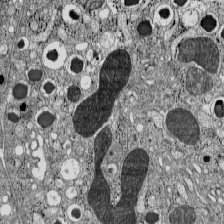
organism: C57BL Mouse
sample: Pancreatic islet